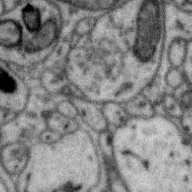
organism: Zebra finch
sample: Brain